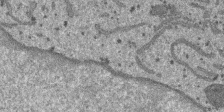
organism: Human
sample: Lung epithelial cells infected with SARS-CoV-2